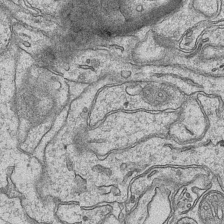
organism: Mouse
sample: CA1 Hippocampus